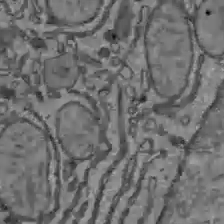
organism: C57BL Mouse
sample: Liver